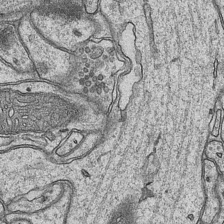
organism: Mouse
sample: CA1 Hippocampus